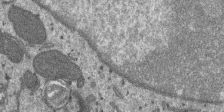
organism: Human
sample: Lung epithelial cells infected with SARS-CoV-2